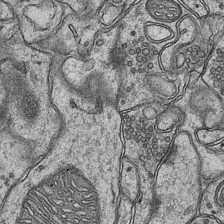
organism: Mouse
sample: CA1 Hippocampus